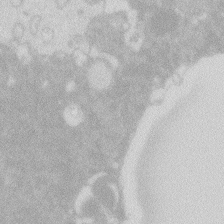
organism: Zebrafish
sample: Macrophage